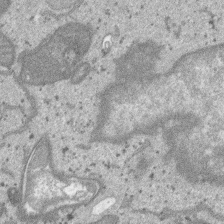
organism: Human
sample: Lung epithelial cells infected with SARS-CoV-2